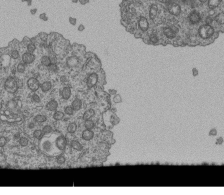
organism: Human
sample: Retinal organoid Rod and Cone cells